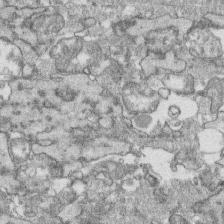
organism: Human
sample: CRL-1474